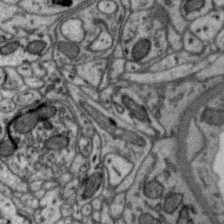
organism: Zebra finch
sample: Brain